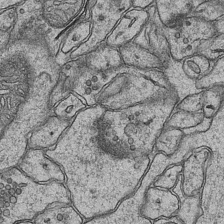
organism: Mouse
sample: CA1 Hippocampus